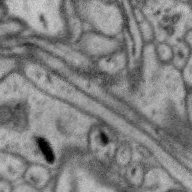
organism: Zebra finch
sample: Brain